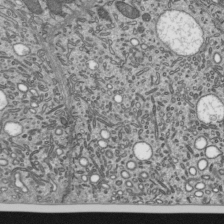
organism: Mouse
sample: Mouse epididymis efferent ductule cilia